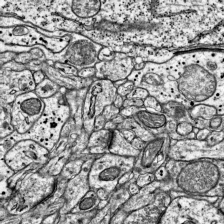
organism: Mouse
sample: Visual Cortex